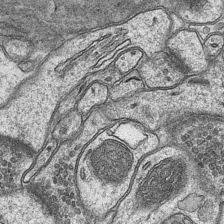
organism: Mouse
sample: CA1 Hippocampus